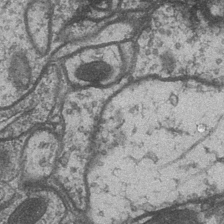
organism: Drosophila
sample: Optic medulla